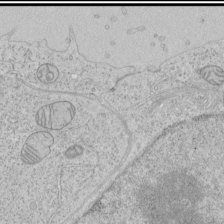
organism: Human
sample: Mitochondria in HCT116 cells